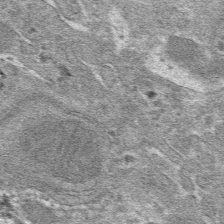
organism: Mouse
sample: Mouse hepatocytes